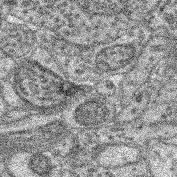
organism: Mouse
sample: Retina